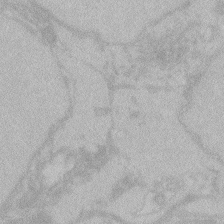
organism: Zebrafish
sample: Macrophage infected with Toxoplasma gondii